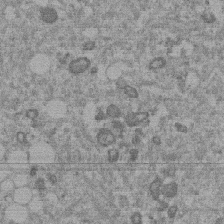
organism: Mouse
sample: Dividing mouse embryo 1 cell stage